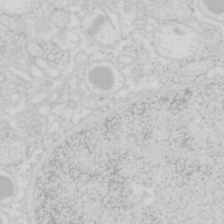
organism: Mouse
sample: Pancreas